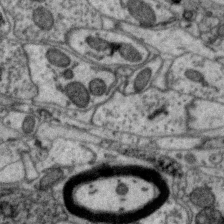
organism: Zebra finch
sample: Brain